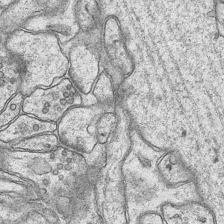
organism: Mouse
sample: CA1 Hippocampus